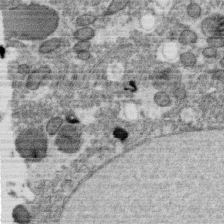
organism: C. elegans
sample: C. elegans oocyte; sperm cells